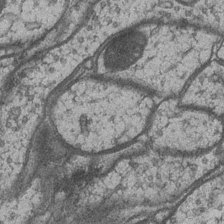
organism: Drosophila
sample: Optic medulla